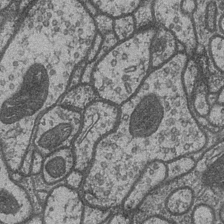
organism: Drosophila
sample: Optic medulla